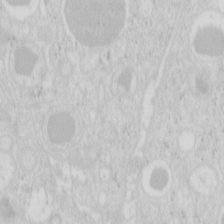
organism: Mouse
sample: Pancreas